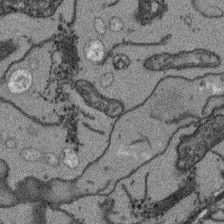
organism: Arabidopsis thaliana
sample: Root tip